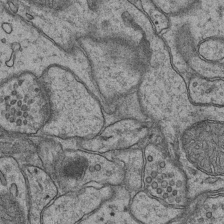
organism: Mouse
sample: CA1 Hippocampus